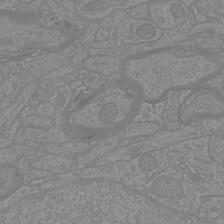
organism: Mouse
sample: Cortical neurons